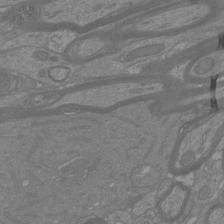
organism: Mouse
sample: Cortical neurons